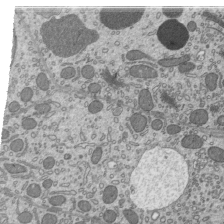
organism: Mouse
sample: Mouse epididymis efferent ductule cilia